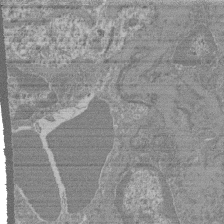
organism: Mouse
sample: Glomerulus